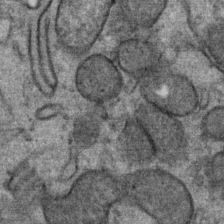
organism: Mouse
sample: Mouse Salivary gland